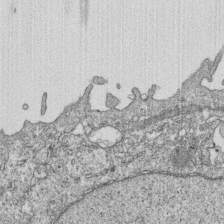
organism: Human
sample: HeLa cell HIV synapse